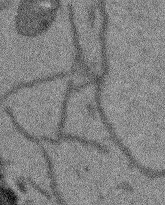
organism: Arabidopsis thaliana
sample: Root tip